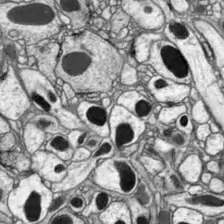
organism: Drosophila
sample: Optic lobe